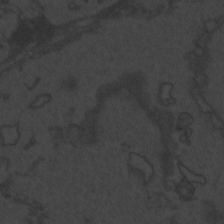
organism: Zebrafish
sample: Macrophage infected with Toxoplasma gondii